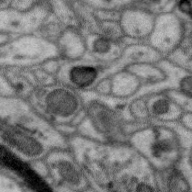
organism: Zebra finch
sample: Brain